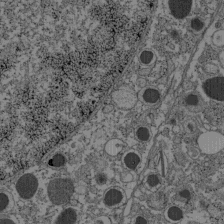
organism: C57BL Mouse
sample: Pancreatic islet